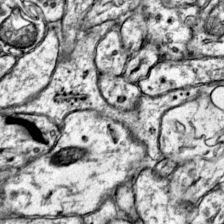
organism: Mouse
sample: Primary visual cortex